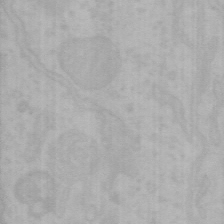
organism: Mouse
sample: Choroid plexus